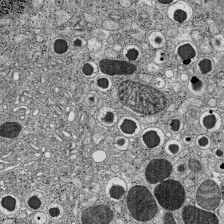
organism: C57BL Mouse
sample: Pancreatic islet